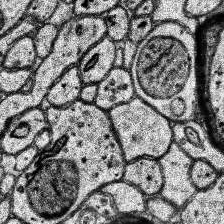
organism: Human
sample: Temporal Lobe